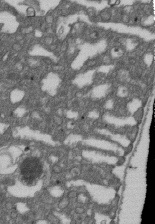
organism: Drosophila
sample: Nephrocyte